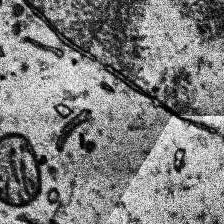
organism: Human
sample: Temporal Lobe